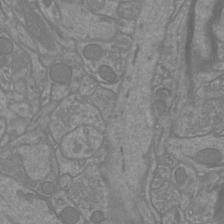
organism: Mouse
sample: Cortical neurons